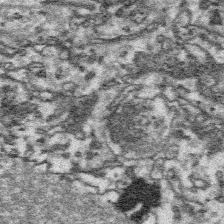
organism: Platynereis dumerilii